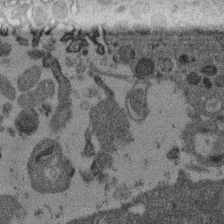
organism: Mouse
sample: Dividing mouse embryo 1 cell stage